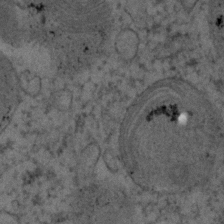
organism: Human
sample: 1205lu cells